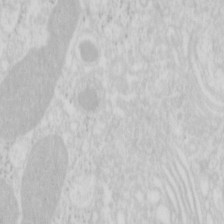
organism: Mouse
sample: Pancreas